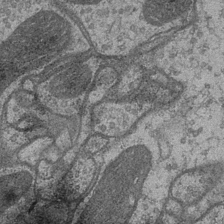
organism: Drosophila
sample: Optic medulla